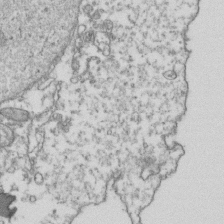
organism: Human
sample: Activated Jurkat CD4+ T cells